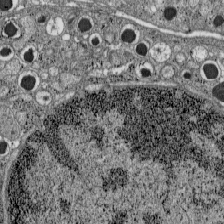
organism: C57BL Mouse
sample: Pancreatic islet